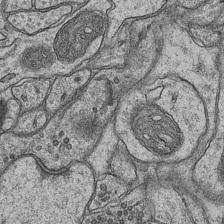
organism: Mouse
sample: CA1 Hippocampus